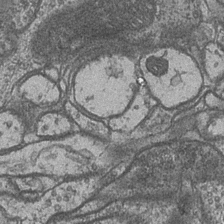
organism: Drosophila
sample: Optic medulla